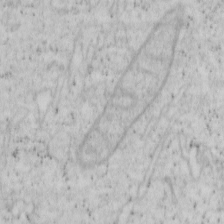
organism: Human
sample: HeLa cells